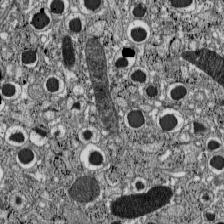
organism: C57BL Mouse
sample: Pancreatic islet